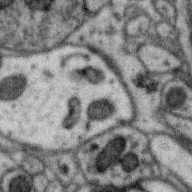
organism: Zebra finch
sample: Brain